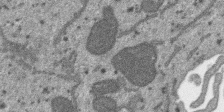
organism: Human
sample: Lung epithelial cells infected with SARS-CoV-2